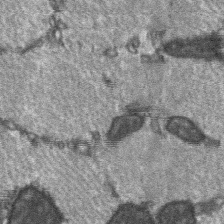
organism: C57BL Mouse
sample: Soleus